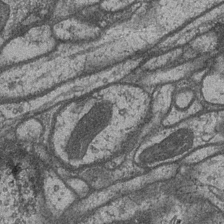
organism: Drosophila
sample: Optic medulla